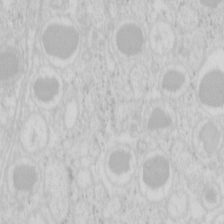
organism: Mouse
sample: Pancreas